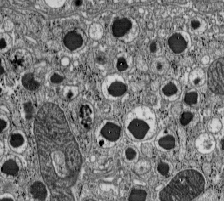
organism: C57BL Mouse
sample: Pancreatic islet